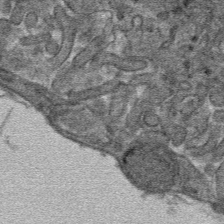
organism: Mouse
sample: Mouse hepatocytes